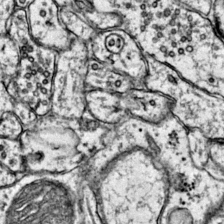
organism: Mouse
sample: Primary visual cortex